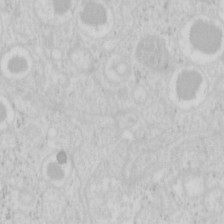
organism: Mouse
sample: Pancreas